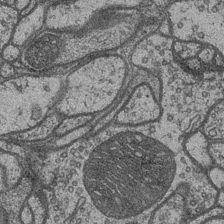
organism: Drosophila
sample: Optic medulla